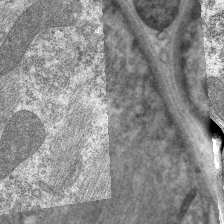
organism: C. elegans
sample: Pharynx